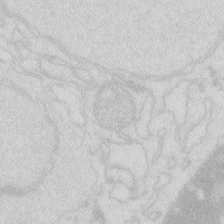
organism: Zebrafish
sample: Macrophage